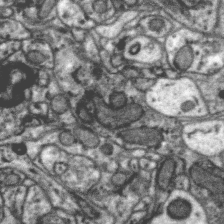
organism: Zebra finch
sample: Brain